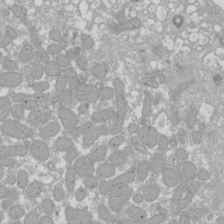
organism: Xenopus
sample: Cilia; centrioles in frog embryo cells